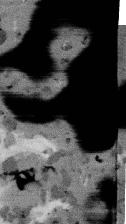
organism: Mouse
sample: T cell stromal cell synapse